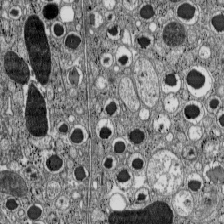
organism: C57BL Mouse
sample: Pancreatic islet